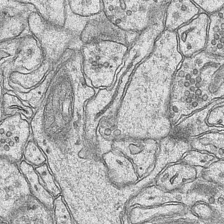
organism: Mouse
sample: CA1 Hippocampus